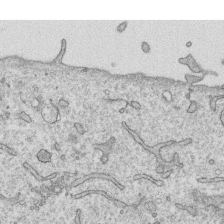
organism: Human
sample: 1205lu cells